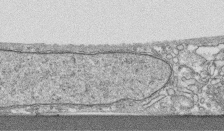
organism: Human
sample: CRL-1474